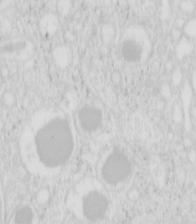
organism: Mouse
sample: Pancreas